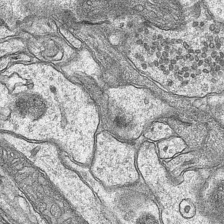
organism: Mouse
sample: CA1 Hippocampus